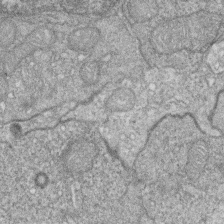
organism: Zebrafish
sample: Cilia; retinal pigment epithelium